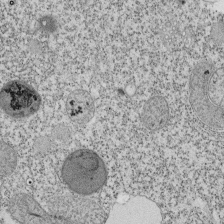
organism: Tetrahymena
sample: Cilia in tetrahymena